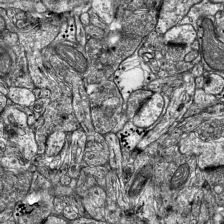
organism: Mouse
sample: Visual Cortex